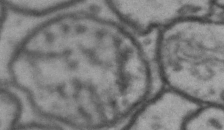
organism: Drosophila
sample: Brain